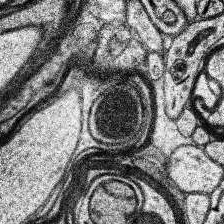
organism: Human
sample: Temporal Lobe